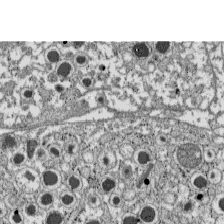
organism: C57BL Mouse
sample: Pancreatic islet